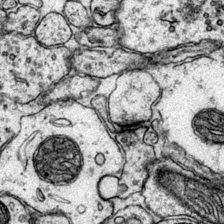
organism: Mouse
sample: Primary visual cortex